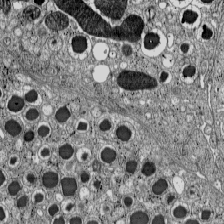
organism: C57BL Mouse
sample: Pancreatic islet